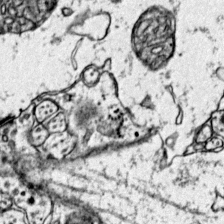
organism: Mouse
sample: Primary visual cortex